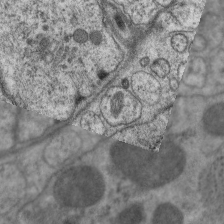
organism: C. elegans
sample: Pharynx